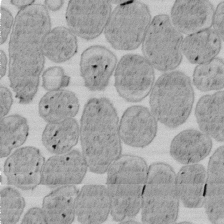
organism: E. coli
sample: Bacterial nucleoid